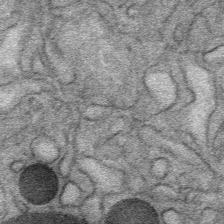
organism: Mouse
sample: Mouse Salivary gland